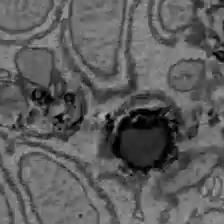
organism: C57BL Mouse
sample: Liver